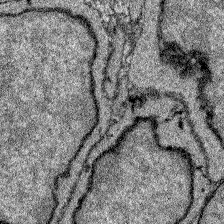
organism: Zebrafish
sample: Larval olfactory bulb